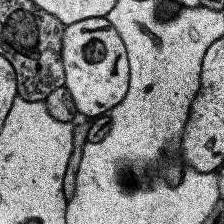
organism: Human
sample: Temporal Lobe